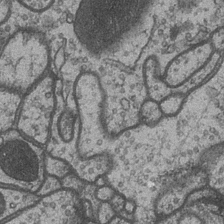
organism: Drosophila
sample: Optic medulla